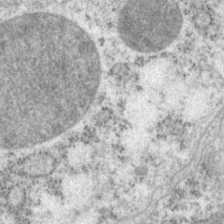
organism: P. pacificus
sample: Pharynx